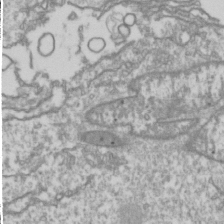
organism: Drosophila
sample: Cell division; meiosis; drosophila spermatocytes